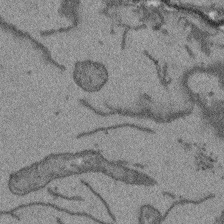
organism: Arabidopsis thaliana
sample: Root tip